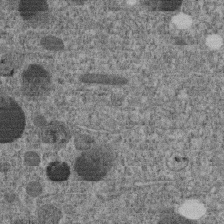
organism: C. elegans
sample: C. elegans embryo early stage